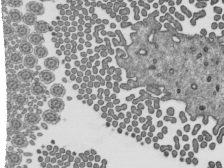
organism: Mouse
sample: Mouse epididymis efferent ductule cilia